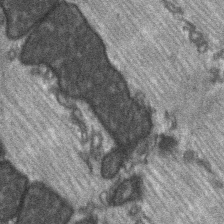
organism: C57BL Mouse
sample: Soleus